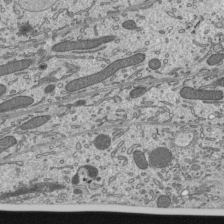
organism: Mouse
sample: Mouse epididymis efferent ductule cilia